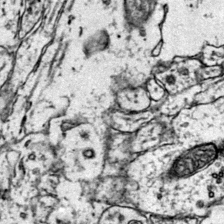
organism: Mouse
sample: Primary visual cortex